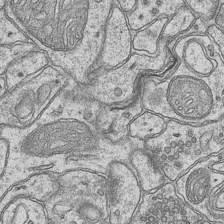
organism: Mouse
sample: CA1 Hippocampus